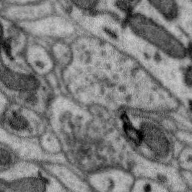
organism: Zebra finch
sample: Brain